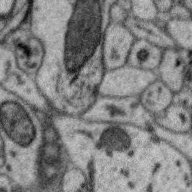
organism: Zebra finch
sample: Brain